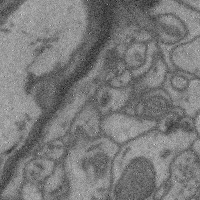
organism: Mouse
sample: Cerebral cortex